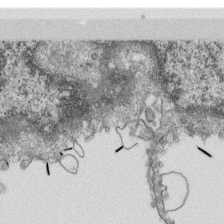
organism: African green monkey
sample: Vero E6 cells infected with SARS-CoV-2